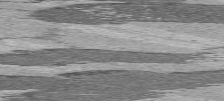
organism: C57BL Mouse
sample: Heart